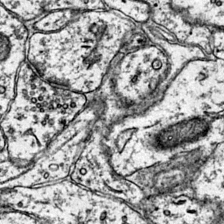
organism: Mouse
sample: Primary visual cortex